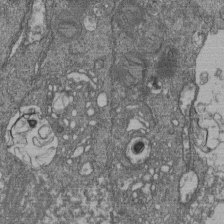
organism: Human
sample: Retinal organoid Rod and Cone cells